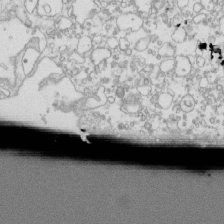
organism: Mouse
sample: Macrophages